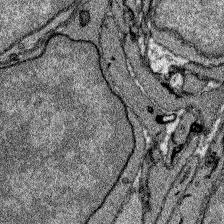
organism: Zebrafish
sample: Larval olfactory bulb